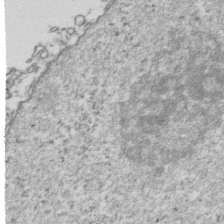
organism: Human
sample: Activated Jurkat CD4+ T cells